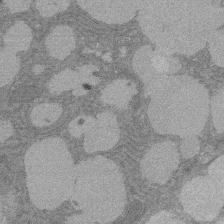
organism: Rat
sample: Salivary granule